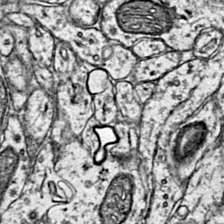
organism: Mouse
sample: Primary visual cortex